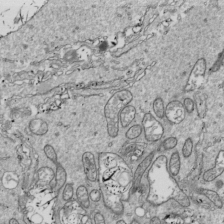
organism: Drosophila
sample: Cell division; meiosis; drosophila spermatocytes